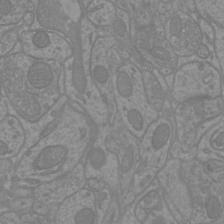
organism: Mouse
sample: Cortical neurons